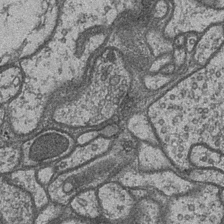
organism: Drosophila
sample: Optic medulla